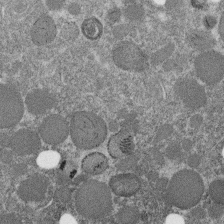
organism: C. elegans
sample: C. elegans embryo early stage